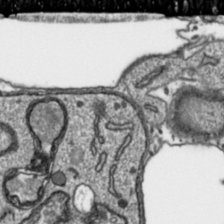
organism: Toxoplasma gondii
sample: Parasites in a vacuole inside a host cell